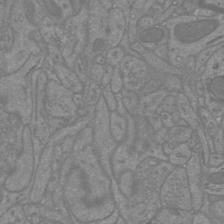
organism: Mouse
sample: Cortical neurons